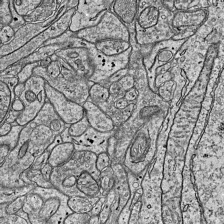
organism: Mouse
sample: Visual Cortex